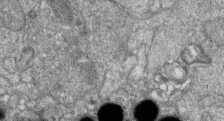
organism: Zebrafish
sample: Cilia; retinal pigment epithelium